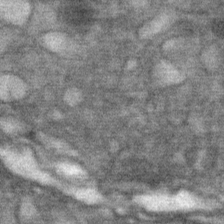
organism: Mouse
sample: Mouse Salivary gland